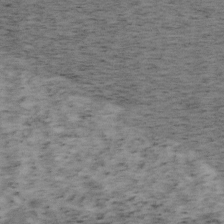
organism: Mouse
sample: OT-I killer T cells with ID8 ovarian cancer cells